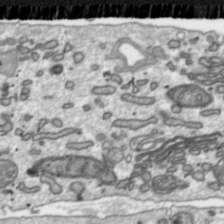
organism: Toxoplasma gondii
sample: Parasites in a vacuole inside a host cell